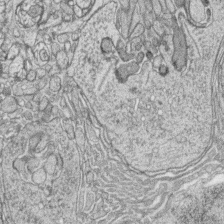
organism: Zebrafish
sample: synaptic ribbons in rod cells and cone cells